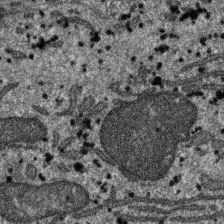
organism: Human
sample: Lung epithelial cells infected with SARS-CoV-2